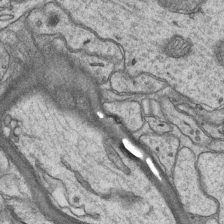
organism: Mouse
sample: CA1 Hippocampus